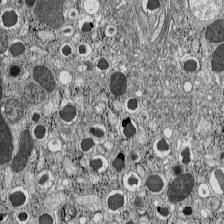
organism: C57BL Mouse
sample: Pancreatic islet